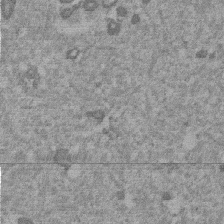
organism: Mouse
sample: Dividing mouse embryo 1 cell stage